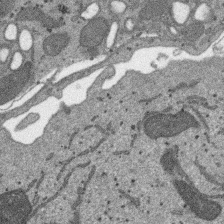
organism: Human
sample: Lung epithelial cells infected with SARS-CoV-2